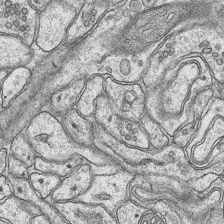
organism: Mouse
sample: CA1 Hippocampus